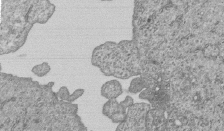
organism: Human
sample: MDA-MB-231 cells